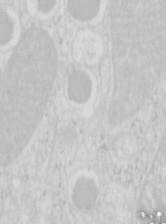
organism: Mouse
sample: Pancreas